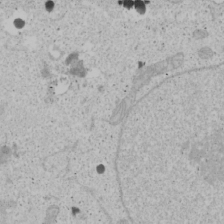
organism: Human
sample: Mitochondria in U2OS cells